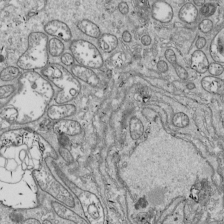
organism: Drosophila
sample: Cell division; meiosis; drosophila spermatocytes